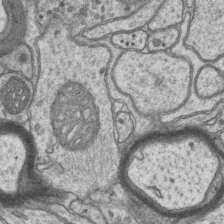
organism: Mouse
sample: CA1 Hippocampus